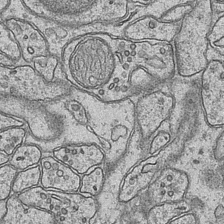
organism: Mouse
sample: CA1 Hippocampus